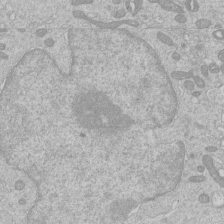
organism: Human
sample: Macrophage cells